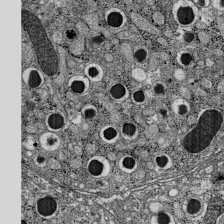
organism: C57BL Mouse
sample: Pancreatic islet